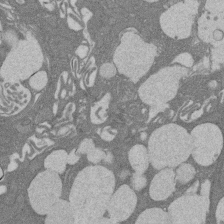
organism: Rat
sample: Salivary granule